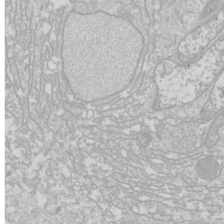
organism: Drosophila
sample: Cell division; meiosis; drosophila spermatocytes